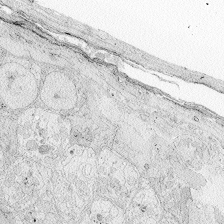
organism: Zebrafish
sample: Whole-Brain